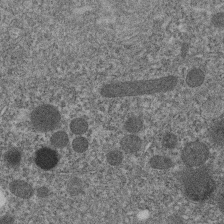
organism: C. elegans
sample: C. elegans embryo early stage